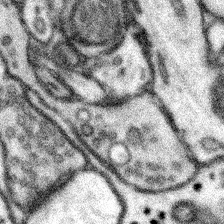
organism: Mouse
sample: Somatosensory cortex neuropil